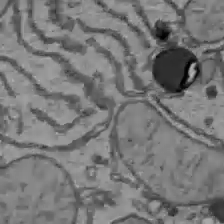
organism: C57BL Mouse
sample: Liver